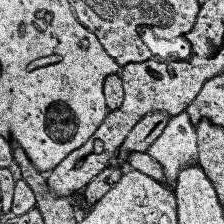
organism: Human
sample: Temporal Lobe